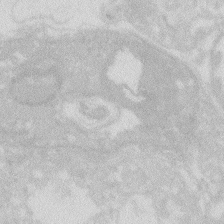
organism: Zebrafish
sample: Macrophage